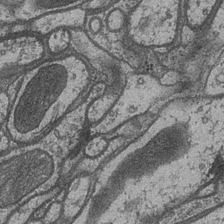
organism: Drosophila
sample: Optic medulla